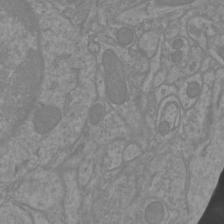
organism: Mouse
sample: Cortical neurons